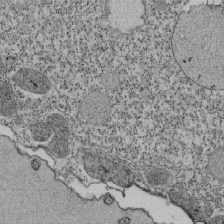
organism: Tetrahymena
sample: Cilia in tetrahymena